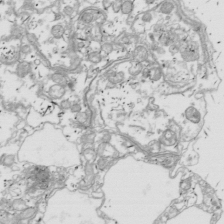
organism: Drosophila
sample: Cell division; meiosis; drosophila spermatocytes